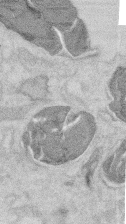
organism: Mouse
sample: T cell stromal cell synapse